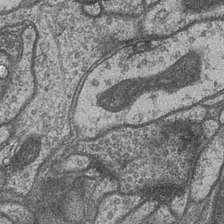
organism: Drosophila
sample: Optic medulla